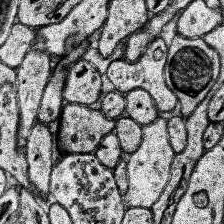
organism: Human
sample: Temporal Lobe